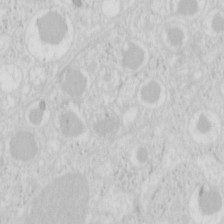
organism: Mouse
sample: Pancreas